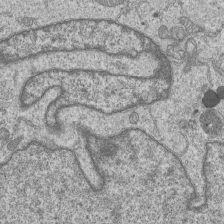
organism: Human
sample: MDA-MB-231 cells